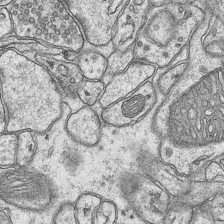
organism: Mouse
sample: CA1 Hippocampus